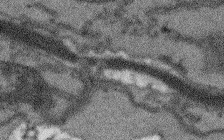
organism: Arabidopsis thaliana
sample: Root tip